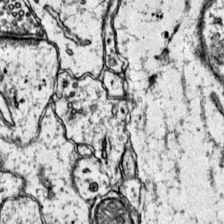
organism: Mouse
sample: Primary visual cortex